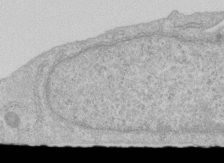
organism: Human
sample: Centriole in RPE cells